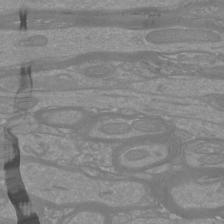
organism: Mouse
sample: Cortical neurons